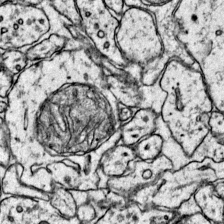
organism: Mouse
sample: Primary visual cortex